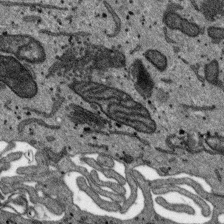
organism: Human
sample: Lung epithelial cells, uninfected (mock) control